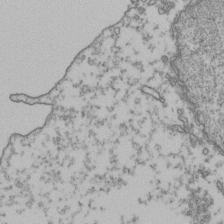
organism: Human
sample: Activated Jurkat CD4+ T cells